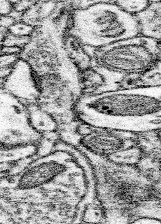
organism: Mouse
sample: Somatosensory cortex neuropil